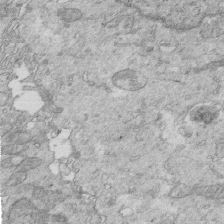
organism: Mouse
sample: Multiciliated cells